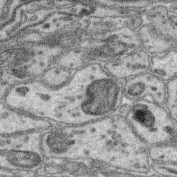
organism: Mouse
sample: Retina